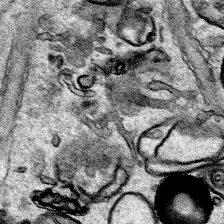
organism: Human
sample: Mitochondria in HCT116 cells